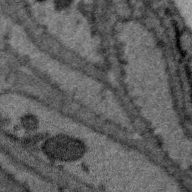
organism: Zebra finch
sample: Brain